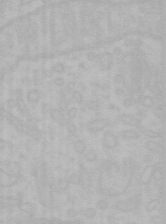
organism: Mouse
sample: Choroid plexus